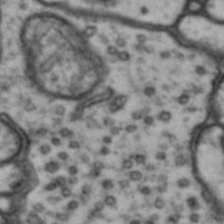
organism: Drosophila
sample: Brain